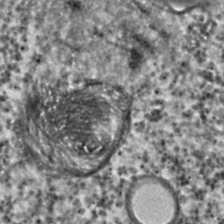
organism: C. elegans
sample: C. elegans embryo